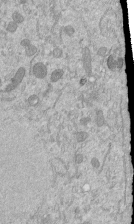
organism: Mouse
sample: ED-1 cell nuclei; centrioles